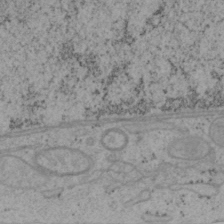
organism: Human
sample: HeLa cells